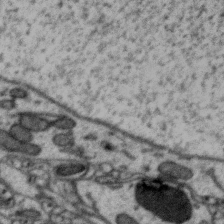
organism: Zebra finch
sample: Brain